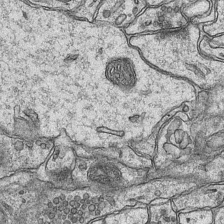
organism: Mouse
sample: CA1 Hippocampus